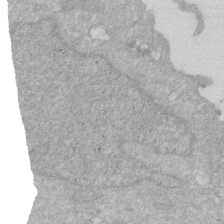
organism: Human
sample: HIV infected U937 cells